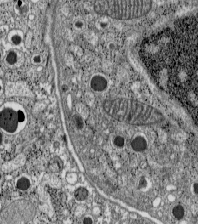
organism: C57BL Mouse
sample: Pancreatic islet